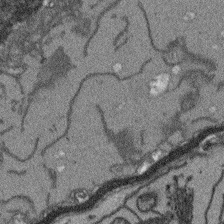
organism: Arabidopsis thaliana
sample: Root tip